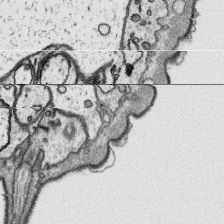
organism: Platynereis dumerilii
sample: Parapodia